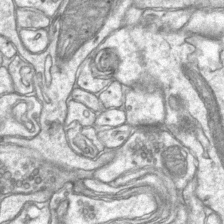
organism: Mouse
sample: CA1 Hippocampus